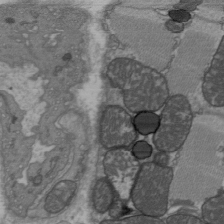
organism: C57BL Mouse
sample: Heart